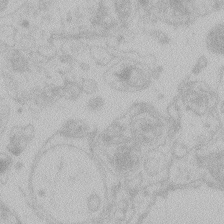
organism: Zebrafish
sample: Macrophage infected with Toxoplasma gondii